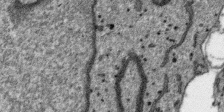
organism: Human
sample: Lung epithelial cells, uninfected (mock) control